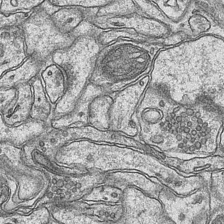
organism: Mouse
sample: CA1 Hippocampus